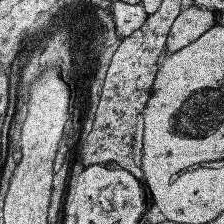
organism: Human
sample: Temporal Lobe